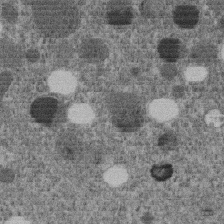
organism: C. elegans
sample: C. elegans embryo early stage